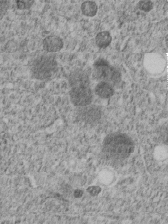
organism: C. elegans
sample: C. elegans embryo early stage